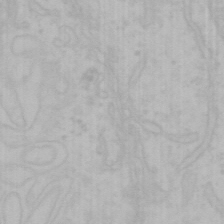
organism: Mouse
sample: Choroid plexus